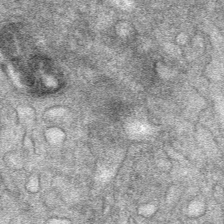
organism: Mouse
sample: Mouse Salivary gland